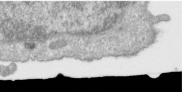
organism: Human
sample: Centriole in RPE cells